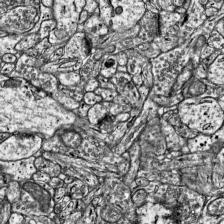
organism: Mouse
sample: Visual Cortex